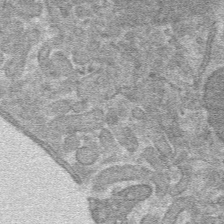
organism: Mouse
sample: Mouse hepatocytes